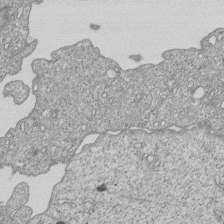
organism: Human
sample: MDA-MB-231 cells